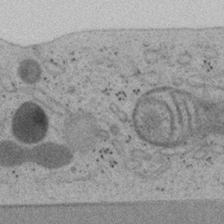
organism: Human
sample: HeLa cells